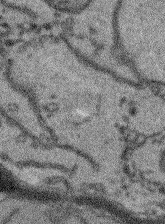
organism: Arabidopsis thaliana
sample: Root tip